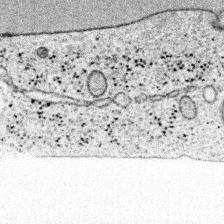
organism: Human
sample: HeLa cells